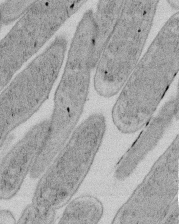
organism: E. coli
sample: Bacterial nucleoid